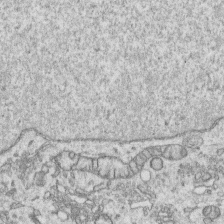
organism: Human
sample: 1205lu cells